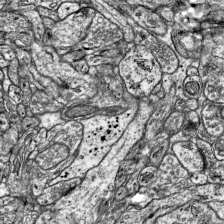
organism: Mouse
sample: Visual Cortex